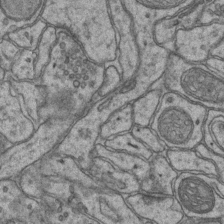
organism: Mouse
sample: CA1 Hippocampus